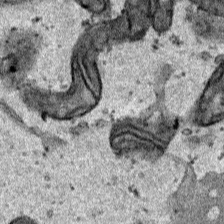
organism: Human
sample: Mitochondria in HCT116 cells